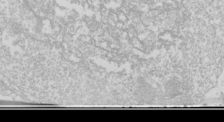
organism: Drosophila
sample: Cell division; meiosis; drosophila spermatocytes